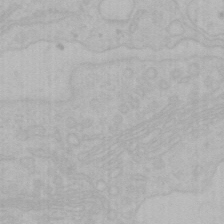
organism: Mouse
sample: Choroid plexus